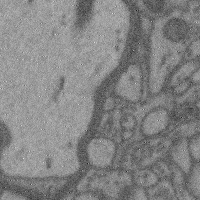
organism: Mouse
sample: Cerebral cortex